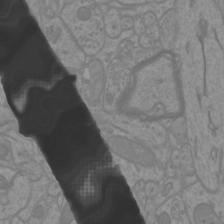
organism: Mouse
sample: Cortical neurons